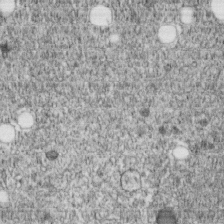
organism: C. elegans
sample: C. elegans embryo early stage